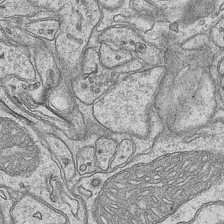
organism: Mouse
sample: CA1 Hippocampus